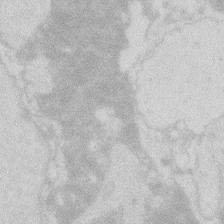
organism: Zebrafish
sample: Macrophage